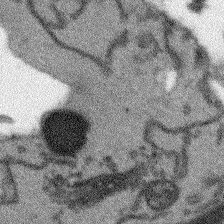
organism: Arabidopsis thaliana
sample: Root tip